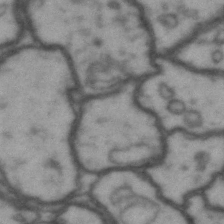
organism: Drosophila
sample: Brain